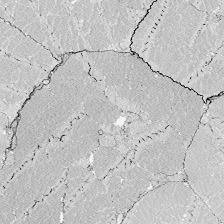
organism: Zebrafish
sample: Whole-Brain